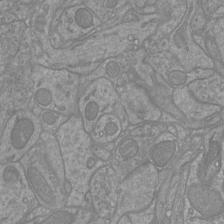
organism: Mouse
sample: Cortical neurons